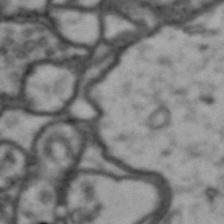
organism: Drosophila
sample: Brain